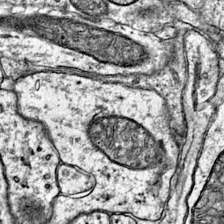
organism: Mouse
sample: Primary visual cortex